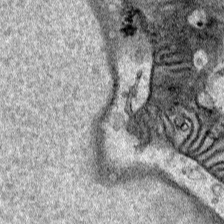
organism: Human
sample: Mitochondria in HCT116 cells